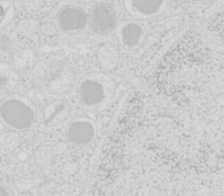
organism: Mouse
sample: Pancreas